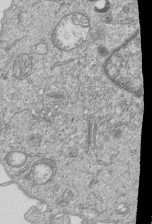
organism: Human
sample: MDA-MB-231 cells